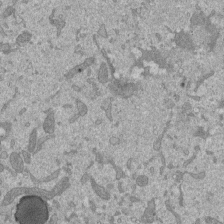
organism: Mouse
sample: ED-1 cell nuclei; centrioles